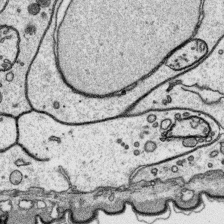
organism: Platynereis dumerilii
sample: Parapodia